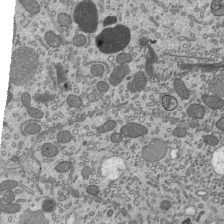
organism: Mouse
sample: Mouse epididymis efferent ductule cilia